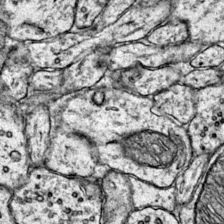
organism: Mouse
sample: Primary visual cortex